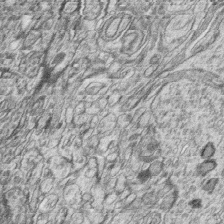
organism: Zebrafish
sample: synaptic ribbons in rod cells and cone cells